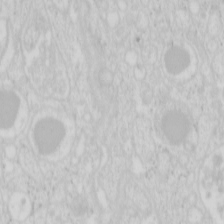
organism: Mouse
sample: Pancreas